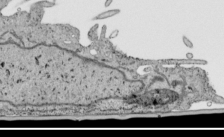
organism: Human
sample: Mitochondria in HCT116 cells